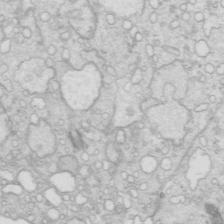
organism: Mouse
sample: Multiciliated cells